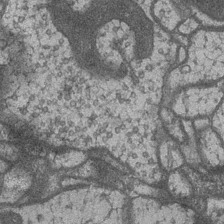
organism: Drosophila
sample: Optic medulla